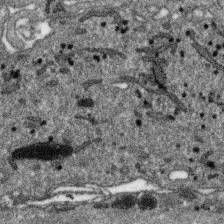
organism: Human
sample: Lung epithelial cells infected with SARS-CoV-2